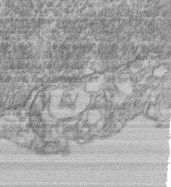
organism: Mouse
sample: T cell stromal cell synapse